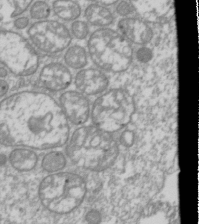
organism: Drosophila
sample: Cell division; meiosis; drosophila spermatocytes